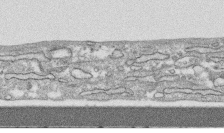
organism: Human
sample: CRL-1474